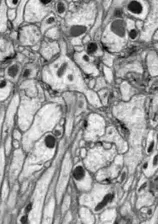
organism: Drosophila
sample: Optic lobe